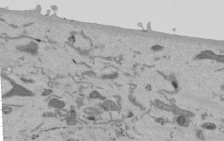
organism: Mouse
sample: ED-1 cell nuclei; centrioles